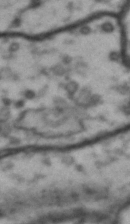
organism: Drosophila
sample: Brain